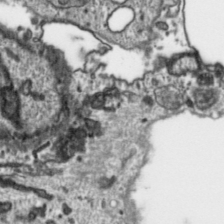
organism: Toxoplasma gondii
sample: Parasites in a vacuole inside a host cell